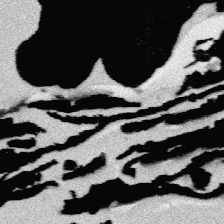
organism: Platynereis dumerilii